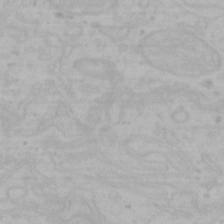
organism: Mouse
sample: Choroid plexus